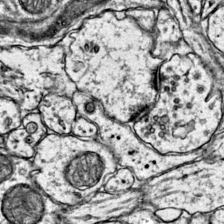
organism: Mouse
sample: Primary visual cortex